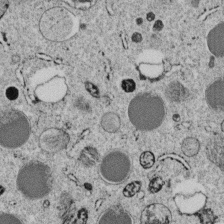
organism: C. elegans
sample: C. elegans embryo early stage